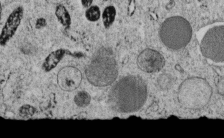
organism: C. elegans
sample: C. elegans embryo early stage